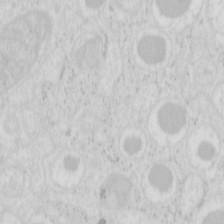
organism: Mouse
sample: Pancreas